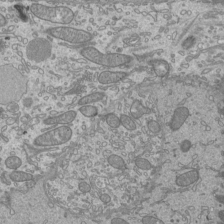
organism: Mouse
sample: Cilia; mouse epididymis